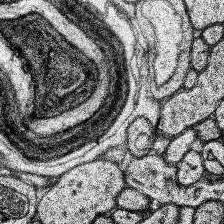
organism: Human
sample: Temporal Lobe